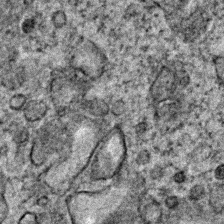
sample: Trachea